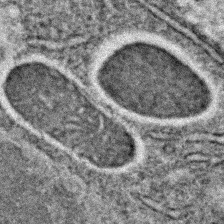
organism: C. elegans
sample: C. elegans embryo